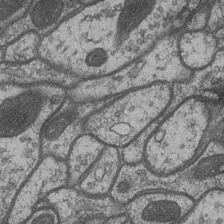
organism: Drosophila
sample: Optic medulla